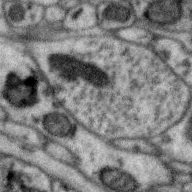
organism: Zebra finch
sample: Brain